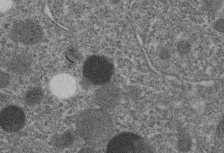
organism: C. elegans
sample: C. elegans embryo early stage